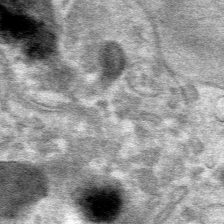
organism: Mouse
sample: Mouse hepatocytes